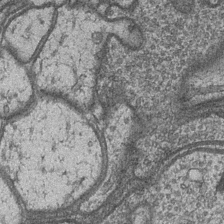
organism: Drosophila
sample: Optic medulla